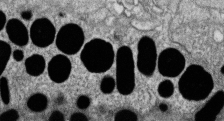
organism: Zebrafish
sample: Cilia; retinal pigment epithelium